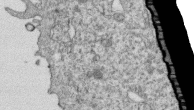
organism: Human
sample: HeLa cell HIV synapse